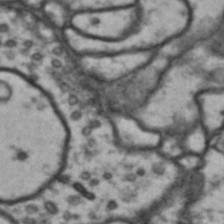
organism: Drosophila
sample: Brain